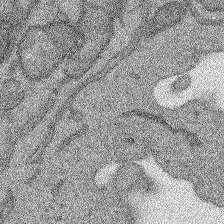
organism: Human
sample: HeLa cells